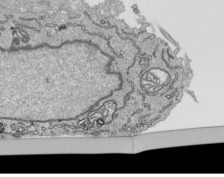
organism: Human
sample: Mitochondria in HCT116 cells